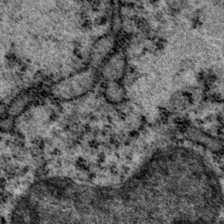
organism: P. pacificus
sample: Pharynx